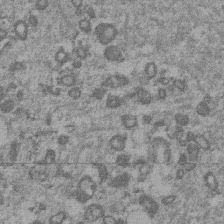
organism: Mouse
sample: Dividing mouse embryo 1 cell stage